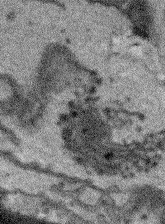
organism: Arabidopsis thaliana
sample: Root tip